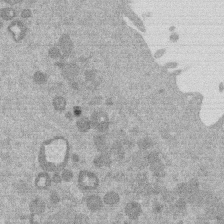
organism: Mouse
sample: Dividing mouse embryo 1 cell stage